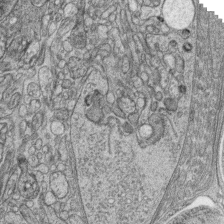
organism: Zebrafish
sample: synaptic ribbons in rod cells and cone cells